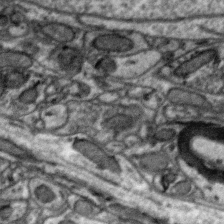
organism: Zebra finch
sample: Brain